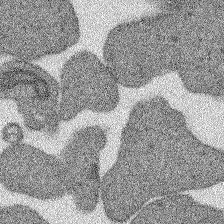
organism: Human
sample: HeLa cells